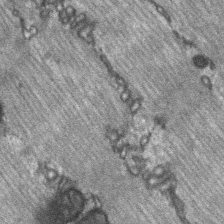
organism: C57BL Mouse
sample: Soleus